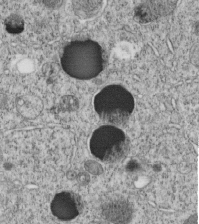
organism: C. elegans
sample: C. elegans embryo early stage